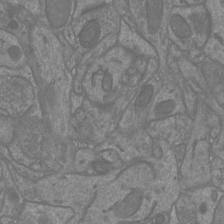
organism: Mouse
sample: Cortical neurons